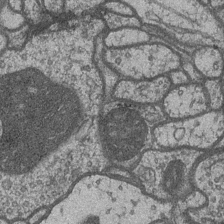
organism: Drosophila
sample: Optic medulla